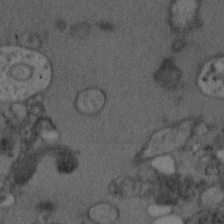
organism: Human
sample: HeLa cells